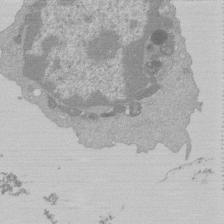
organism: Mouse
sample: Activated Pmel transgenic CD8+ T Cells